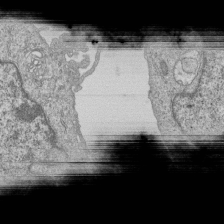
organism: Human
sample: MDA-MB-231 cells